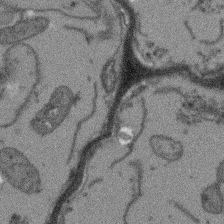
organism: Arabidopsis thaliana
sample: Root tip